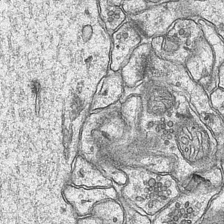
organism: Mouse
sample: CA1 Hippocampus